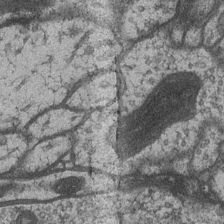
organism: Drosophila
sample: Optic medulla